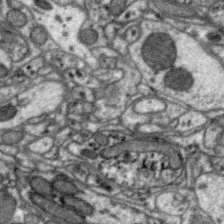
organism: Zebra finch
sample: Brain